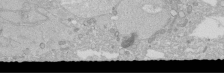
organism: Human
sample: Caco-2 cells